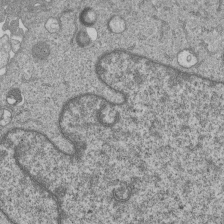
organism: Human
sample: MDA-MB-231 cells